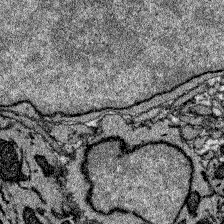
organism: Zebrafish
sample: Larval olfactory bulb